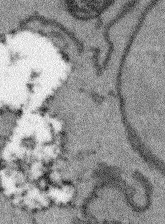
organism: Arabidopsis thaliana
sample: Root tip